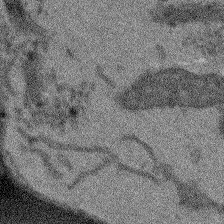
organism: Arabidopsis thaliana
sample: Root tip